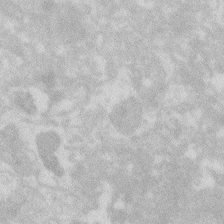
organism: Zebrafish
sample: Macrophage